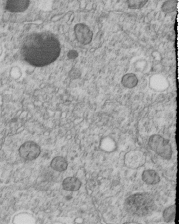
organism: C. elegans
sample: C. elegans embryo early stage